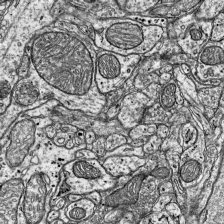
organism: Mouse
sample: Visual Cortex